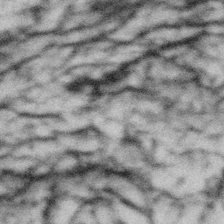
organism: Gemmata obscuriglobus